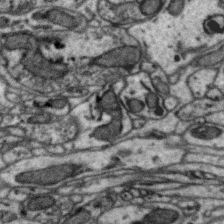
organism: Zebra finch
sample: Brain